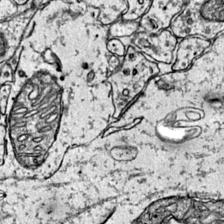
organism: Mouse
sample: Primary visual cortex